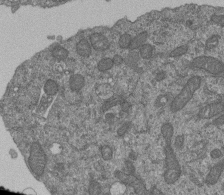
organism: Human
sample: Retinal organoid Rod and Cone cells